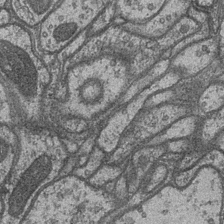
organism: Drosophila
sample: Optic medulla